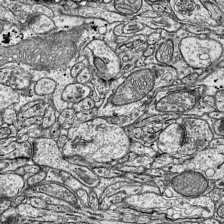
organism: Mouse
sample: Visual Cortex